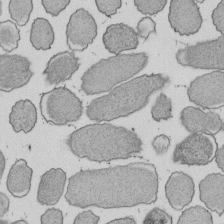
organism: E. coli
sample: Bacterial nucleoid